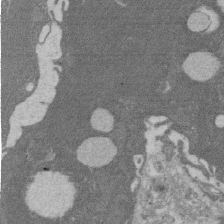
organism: Rat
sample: Salivary granule